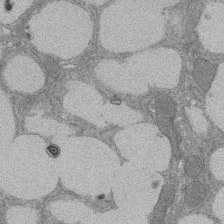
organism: Rat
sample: Salivary granule